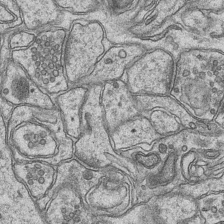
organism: Mouse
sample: CA1 Hippocampus